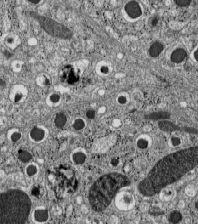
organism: C57BL Mouse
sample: Pancreatic islet